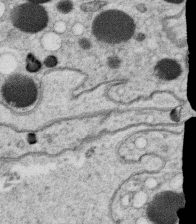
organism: C. elegans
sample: C. elegans oocyte; sperm cells